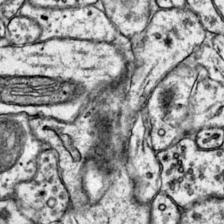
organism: Mouse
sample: Primary visual cortex